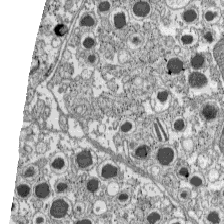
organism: C57BL Mouse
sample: Pancreatic islet